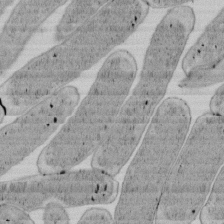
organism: E. coli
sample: Bacterial nucleoid